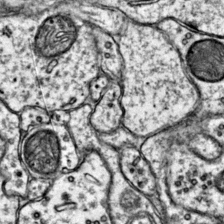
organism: Mouse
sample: Primary visual cortex